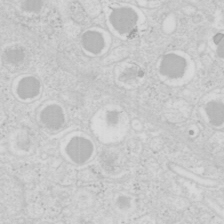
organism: Mouse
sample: Pancreas